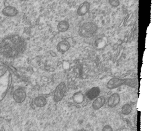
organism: Human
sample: MDA-MB-231 cells